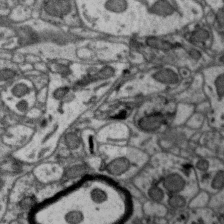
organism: Zebra finch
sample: Brain